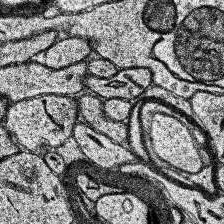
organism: Human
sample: Temporal Lobe